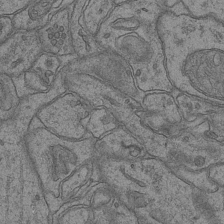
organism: Mouse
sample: CA1 Hippocampus